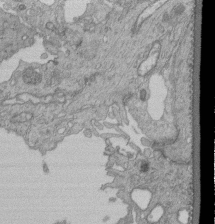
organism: Human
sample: Retinal organoid Rod and Cone cells